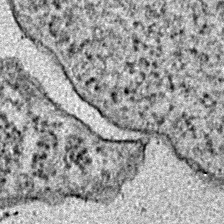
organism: E. coli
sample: E. Coli Bacteria